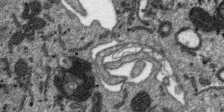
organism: Human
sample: Lung epithelial cells infected with SARS-CoV-2